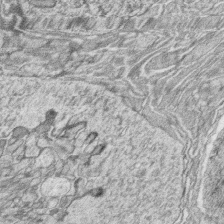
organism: Zebrafish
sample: synaptic ribbons in rod cells and cone cells